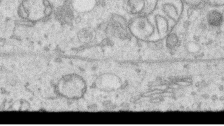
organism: Human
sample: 1205lu cells